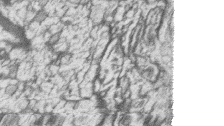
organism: Zebrafish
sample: synaptic ribbons in rod cells and cone cells